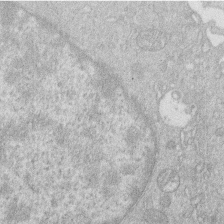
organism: Human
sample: Macrophage cells